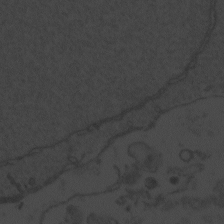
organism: Zebrafish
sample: Macrophage infected with Toxoplasma gondii